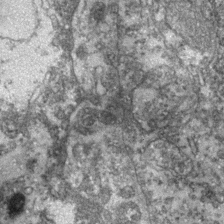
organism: Zebrafish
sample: Zebrafish embryo